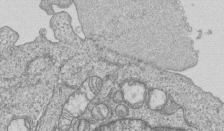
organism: Human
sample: MDA-MB-231 cells